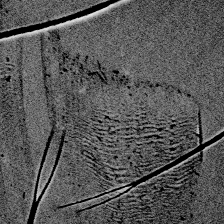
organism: Zebrafish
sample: Whole-Brain